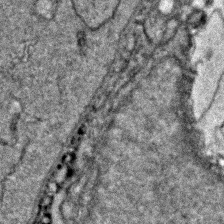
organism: Zebrafish